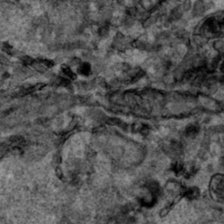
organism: Human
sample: Mitochondria in HCT116 cells